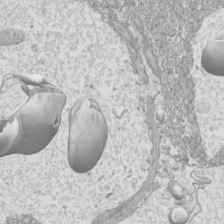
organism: Mouse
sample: Cilia; mouse epididymis